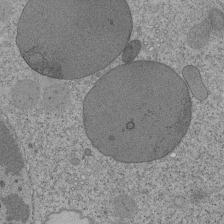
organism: Tetrahymena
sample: Cilia in tetrahymena